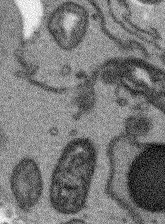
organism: Arabidopsis thaliana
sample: Root tip